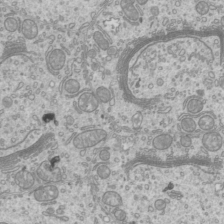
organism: Mouse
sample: Cilia; mouse epididymis